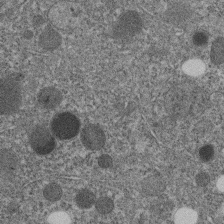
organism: C. elegans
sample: C. elegans embryo early stage